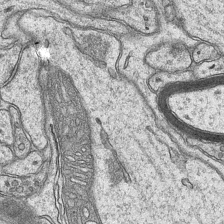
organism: Mouse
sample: CA1 Hippocampus